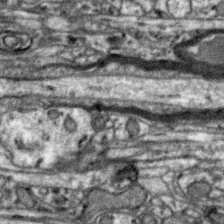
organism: Zebra finch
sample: Brain